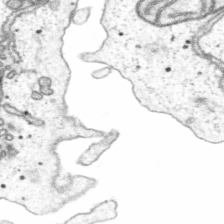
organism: Human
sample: HeLa cells